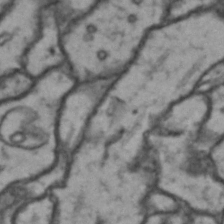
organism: Drosophila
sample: Brain